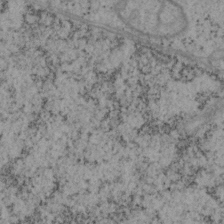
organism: Human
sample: HeLa cells